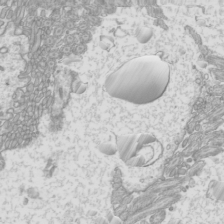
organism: Mouse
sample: Cilia; mouse epididymis